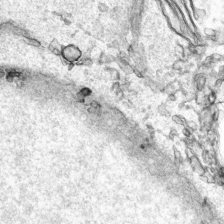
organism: Human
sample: Mitochondria in HCT116 cells